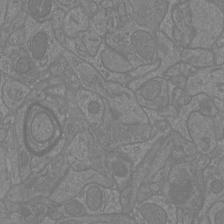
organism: Mouse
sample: Cortical neurons